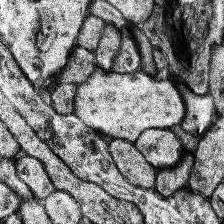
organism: Human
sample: Temporal Lobe